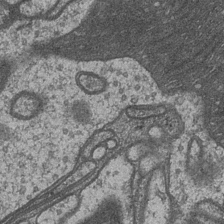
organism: Drosophila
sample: Optic medulla